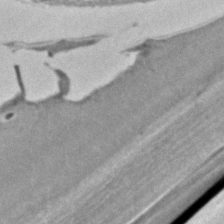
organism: C. elegans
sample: C. elegans embryo